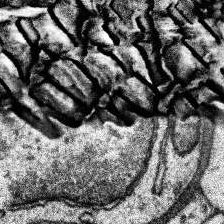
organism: Human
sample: Temporal Lobe